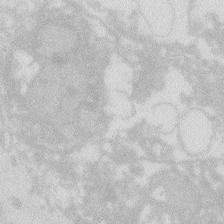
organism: Zebrafish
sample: Macrophage